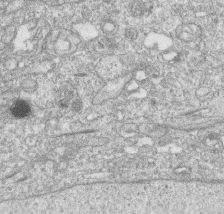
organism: Human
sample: HeLa cell HIV synapse